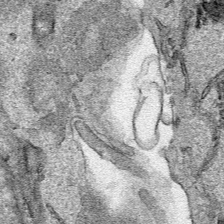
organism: Human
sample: Mitochondria in HCT116 cells